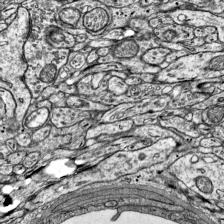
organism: Mouse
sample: Visual Cortex